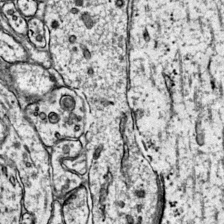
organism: Mouse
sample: Primary visual cortex